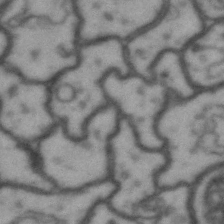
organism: Drosophila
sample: Brain